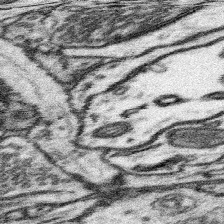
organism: Mouse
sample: Somatosensory cortex neuropil